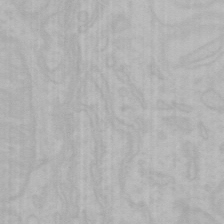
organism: Mouse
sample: Choroid plexus